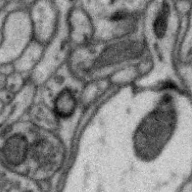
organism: Zebra finch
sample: Brain